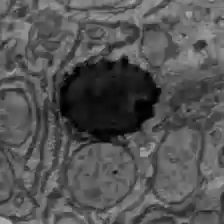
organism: C57BL Mouse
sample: Liver